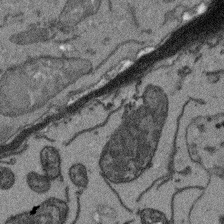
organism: Arabidopsis thaliana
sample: Root tip